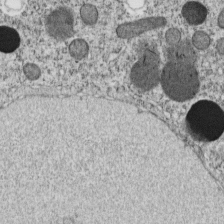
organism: C. elegans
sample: C. elegans embryo early stage